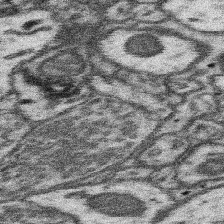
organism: Mouse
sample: Somatosensory cortex neuropil